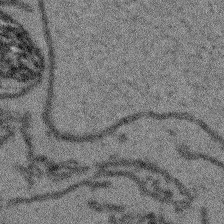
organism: Arabidopsis thaliana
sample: Root tip